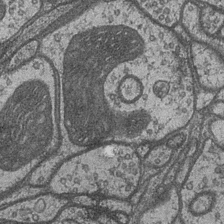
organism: Drosophila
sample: Optic medulla